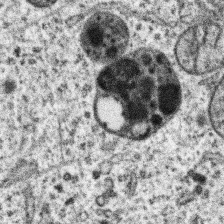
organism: Human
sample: HeLa cells